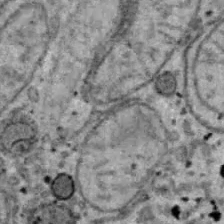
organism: Mouse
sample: Liver from an obese (ob/ob) mouse